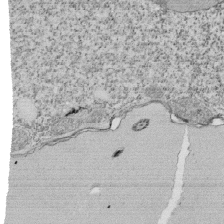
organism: Tetrahymena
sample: Cilia in tetrahymena